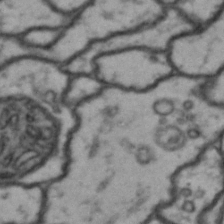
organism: Drosophila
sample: Brain